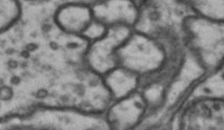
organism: Drosophila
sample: Brain